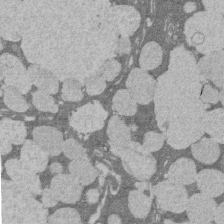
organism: Rat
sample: Salivary granule